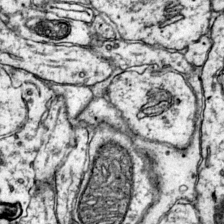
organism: Mouse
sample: Primary visual cortex